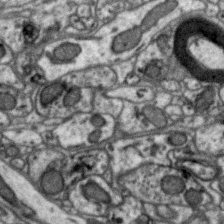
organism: Zebra finch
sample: Brain